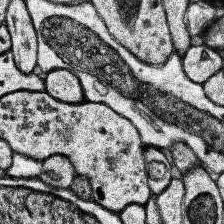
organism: Human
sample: Temporal Lobe